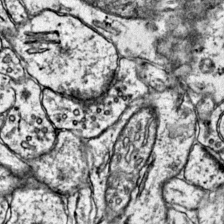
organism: Mouse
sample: Primary visual cortex